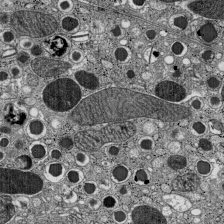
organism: C57BL Mouse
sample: Pancreatic islet